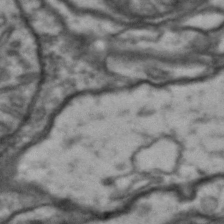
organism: Drosophila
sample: Brain